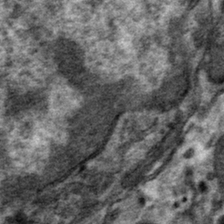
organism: Mouse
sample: Mouse hepatocytes